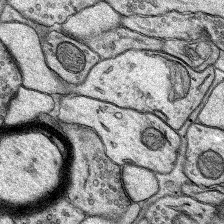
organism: Rat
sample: Hippocampus